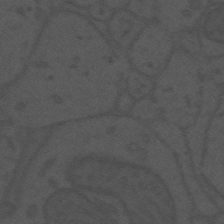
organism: Mouse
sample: Suprachiasmatic nucleus